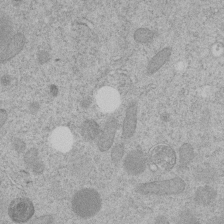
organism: C. elegans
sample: C. elegans embryo early stage